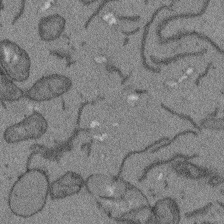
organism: Arabidopsis thaliana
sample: Root tip